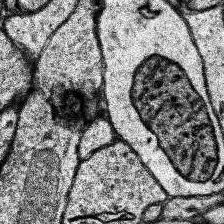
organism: Human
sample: Temporal Lobe